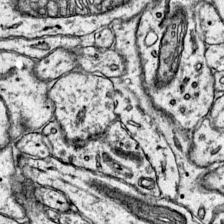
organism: Mouse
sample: Primary visual cortex